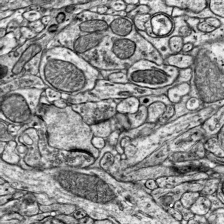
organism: Mouse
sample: Visual Cortex